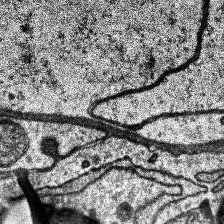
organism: Human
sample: Temporal Lobe